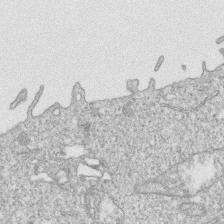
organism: Human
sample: HeLa cell HIV synapse